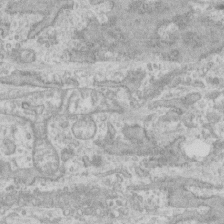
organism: Human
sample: CRL-1474